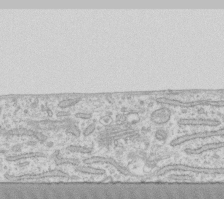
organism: Human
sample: Fibroblast cells